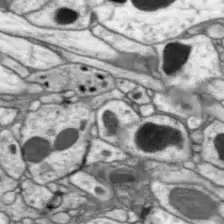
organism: Drosophila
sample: Optic lobe